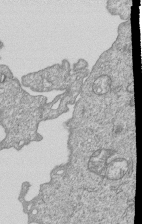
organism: Human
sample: MDA-MB-231 cells